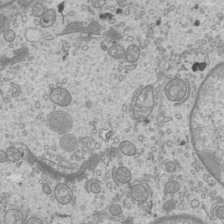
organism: Mouse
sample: Cilia; mouse epididymis